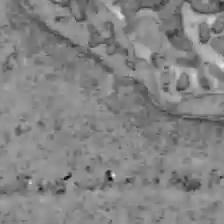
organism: C57BL Mouse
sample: Liver